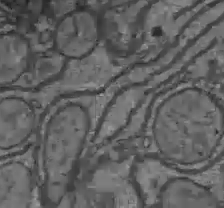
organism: C57BL Mouse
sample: Liver